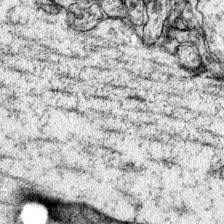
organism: Mouse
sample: Primary visual cortex